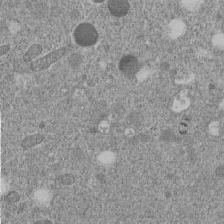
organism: C. elegans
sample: C. elegans embryo early stage